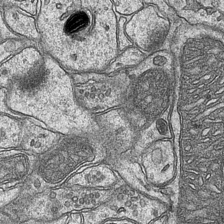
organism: Mouse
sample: CA1 Hippocampus